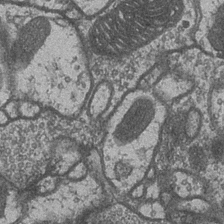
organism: Drosophila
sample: Optic medulla